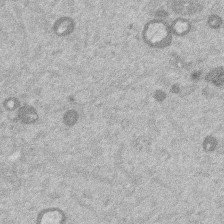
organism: Mouse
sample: Dividing mouse embryo 1 cell stage